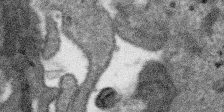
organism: Human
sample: Lung epithelial cells infected with SARS-CoV-2